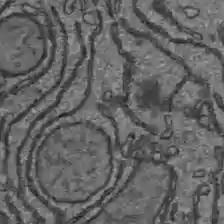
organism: C57BL Mouse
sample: Liver